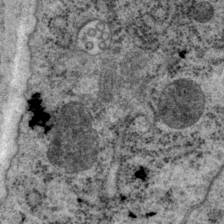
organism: P. pacificus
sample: Pharynx